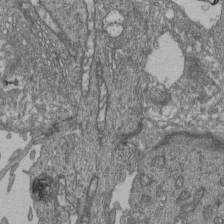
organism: Human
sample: Retinal organoid Rod and Cone cells